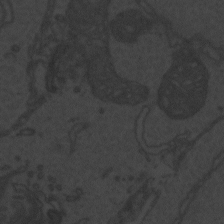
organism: Zebrafish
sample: Macrophage infected with Toxoplasma gondii